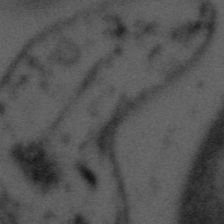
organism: Tuwongella immobilis